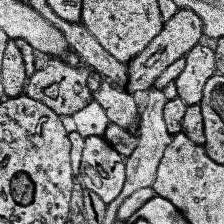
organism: Human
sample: Temporal Lobe